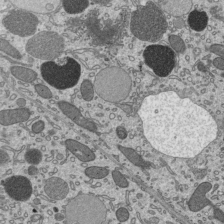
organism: Mouse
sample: Mouse epididymis efferent ductule cilia